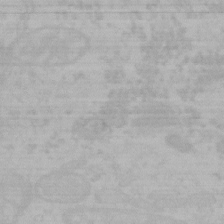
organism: Mouse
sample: Choroid plexus